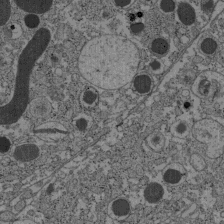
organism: C57BL Mouse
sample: Pancreatic islet